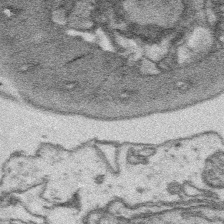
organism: Platynereis dumerilii